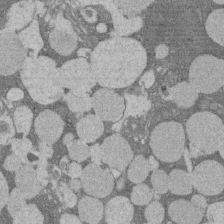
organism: Rat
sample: Salivary granule